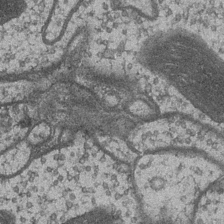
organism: Drosophila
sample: Optic medulla